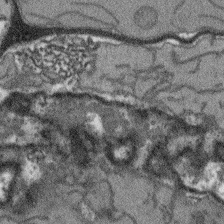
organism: Arabidopsis thaliana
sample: Root tip